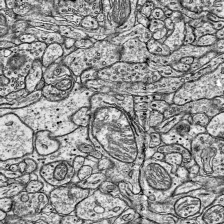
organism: Mouse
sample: Visual Cortex